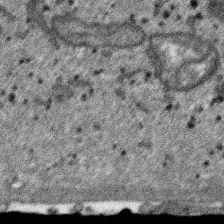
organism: Human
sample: Lung epithelial cells infected with SARS-CoV-2